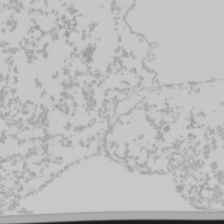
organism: Mouse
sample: Cancer cell death in ED-1 cells